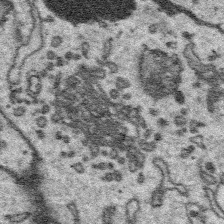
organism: Platynereis dumerilii